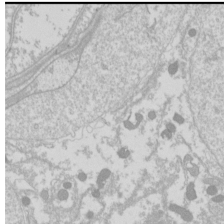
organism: Drosophila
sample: Cell division; meiosis; drosophila spermatocytes